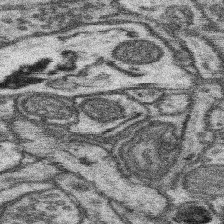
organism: Mouse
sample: Somatosensory cortex neuropil